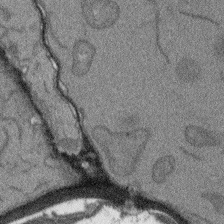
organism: Arabidopsis thaliana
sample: Root tip